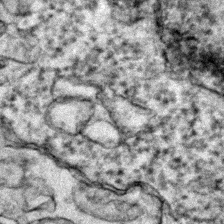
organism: Zebrafish